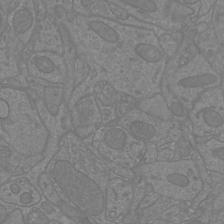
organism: Mouse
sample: Cortical neurons